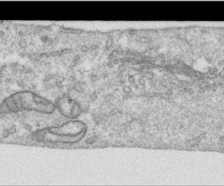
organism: Human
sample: Centriole in RPE cells